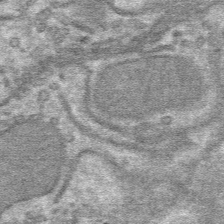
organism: Mouse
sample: Mouse hepatocytes